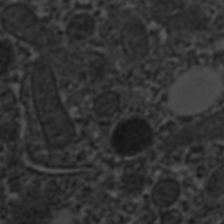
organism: C. elegans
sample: C. elegans embryo